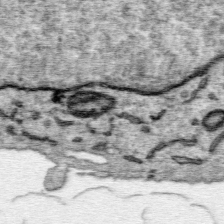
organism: Human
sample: HeLa cells